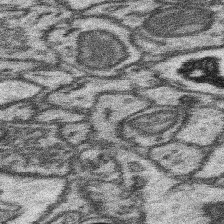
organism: Mouse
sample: Somatosensory cortex neuropil